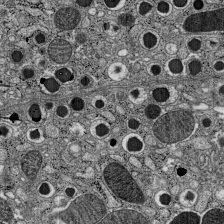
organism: C57BL Mouse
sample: Pancreatic islet